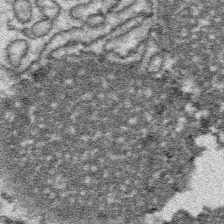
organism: Platynereis dumerilii